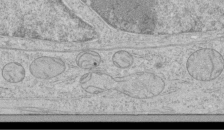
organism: Human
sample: Mitochondria in HCT116 cells